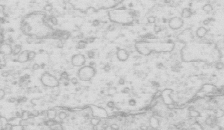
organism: Mouse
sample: Multiciliated cells